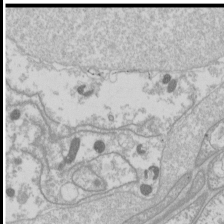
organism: Drosophila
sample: Cell division; meiosis; drosophila spermatocytes